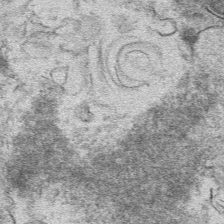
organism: Mouse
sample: Mouse hepatocytes